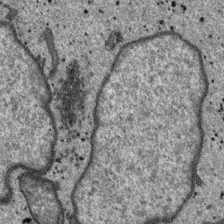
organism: Human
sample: Lung epithelial cells, uninfected (mock) control